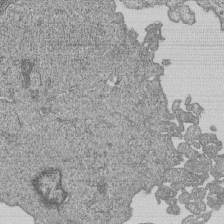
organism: Human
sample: MDA-MB-231 cells